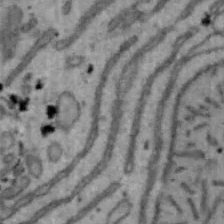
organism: Mouse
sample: Liver